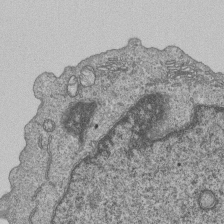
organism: Human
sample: MDA-MB-231 cells